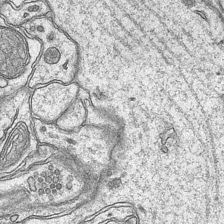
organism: Mouse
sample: CA1 Hippocampus